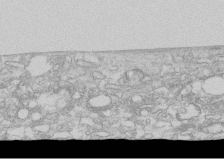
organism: Human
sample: CRL-1474